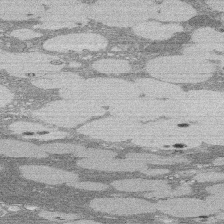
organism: Rat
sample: Salivary granule